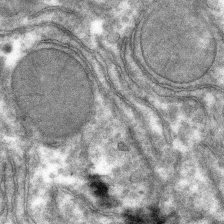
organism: Mouse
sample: Mouse hepatocytes